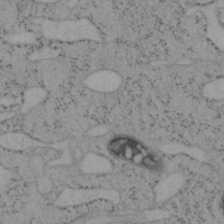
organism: Mouse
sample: OT-I killer T cells with ID8 ovarian cancer cells